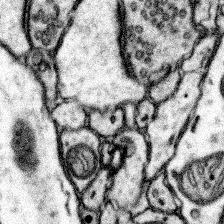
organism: Mouse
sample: Somatosensory cortex neuropil